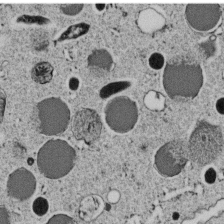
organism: C. elegans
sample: C. elegans embryo early stage